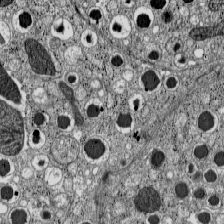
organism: C57BL Mouse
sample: Pancreatic islet